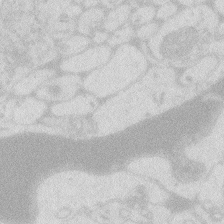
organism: Zebrafish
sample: Macrophage